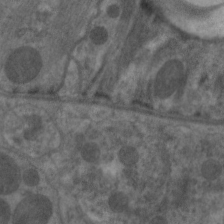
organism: C. elegans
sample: Pharynx